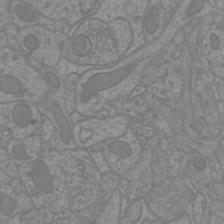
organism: Mouse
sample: Cortical neurons